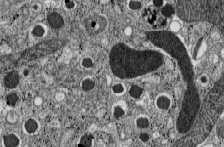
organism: C57BL Mouse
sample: Pancreatic islet